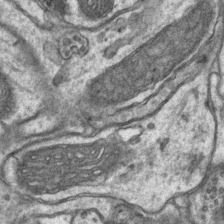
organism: Mouse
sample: CA1 Hippocampus